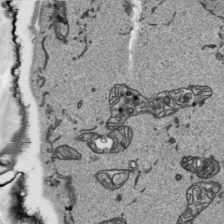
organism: Human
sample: Mitochondria in HCT116 cells